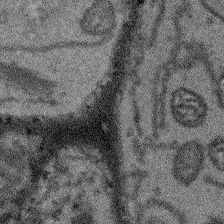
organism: Arabidopsis thaliana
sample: Root tip